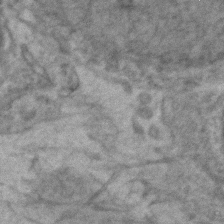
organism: Zebrafish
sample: Zebrafish embryo